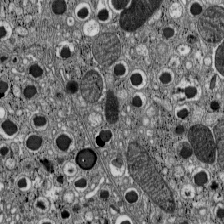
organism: C57BL Mouse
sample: Pancreatic islet